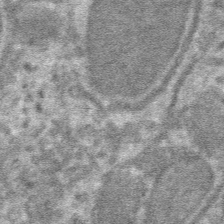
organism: Mouse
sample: Mouse hepatocytes